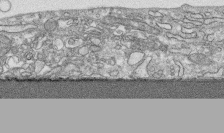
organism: Human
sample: CRL-1474